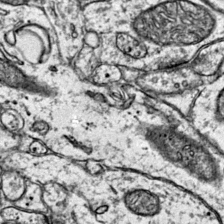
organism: Mouse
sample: Primary visual cortex